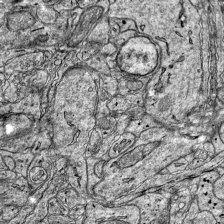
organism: Mouse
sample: Visual Cortex